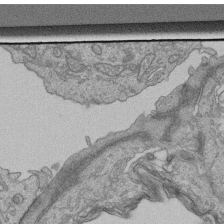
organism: Human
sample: Retinal organoid Rod and Cone cells